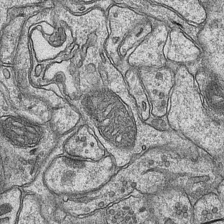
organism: Mouse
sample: CA1 Hippocampus